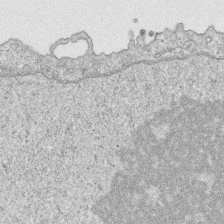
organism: Human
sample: HeLa cell HIV synapse